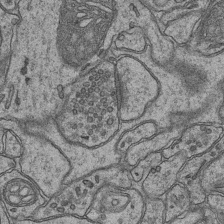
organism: Mouse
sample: CA1 Hippocampus